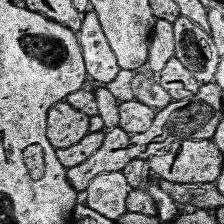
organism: Human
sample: Temporal Lobe